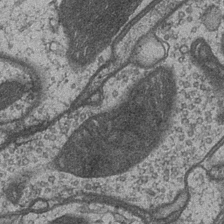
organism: Drosophila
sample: Optic medulla